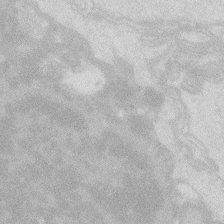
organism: Zebrafish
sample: Macrophage